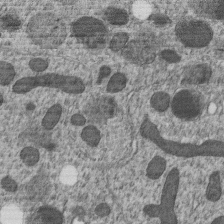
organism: C. elegans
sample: C. elegans embryo early stage